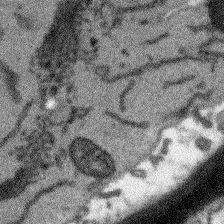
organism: Arabidopsis thaliana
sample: Root tip